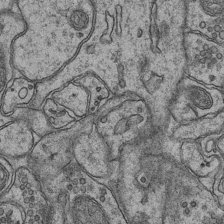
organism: Mouse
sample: CA1 Hippocampus